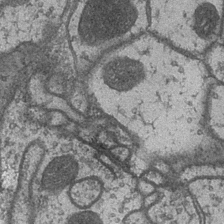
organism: Drosophila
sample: Optic medulla